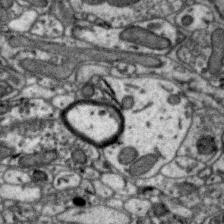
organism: Zebra finch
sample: Brain